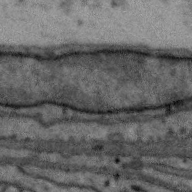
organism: Zebra finch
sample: Brain